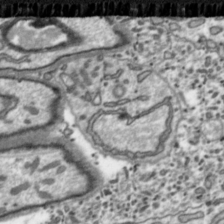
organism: Toxoplasma gondii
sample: Parasites in a vacuole inside a host cell